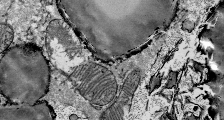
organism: Mouse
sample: Mouse Salivary gland